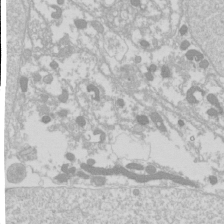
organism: Drosophila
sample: Cell division; meiosis; drosophila spermatocytes